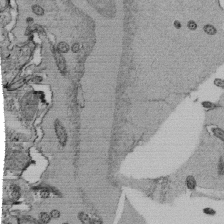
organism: Tetrahymena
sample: Cilia in tetrahymena